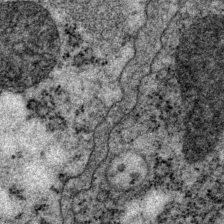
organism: P. pacificus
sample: Pharynx